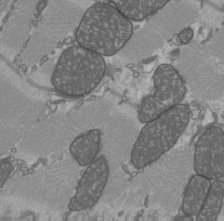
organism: C57BL Mouse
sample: Heart